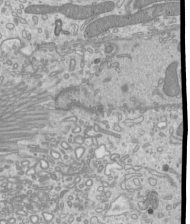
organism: Mouse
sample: Cilia; mouse epididymis